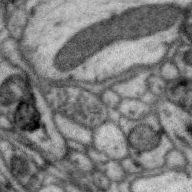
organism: Zebra finch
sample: Brain